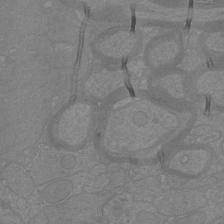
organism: Mouse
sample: Cortical neurons